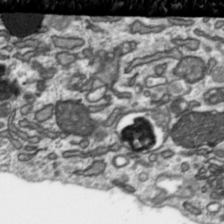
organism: Toxoplasma gondii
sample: Parasites in a vacuole inside a host cell